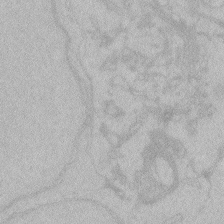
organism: Zebrafish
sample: Macrophage infected with Toxoplasma gondii